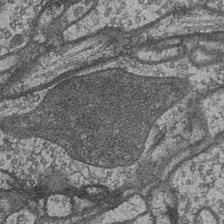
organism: Drosophila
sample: Optic medulla